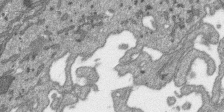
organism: Human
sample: Lung epithelial cells infected with SARS-CoV-2